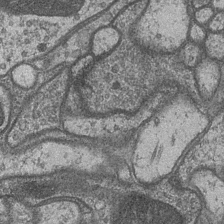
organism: Drosophila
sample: Optic medulla